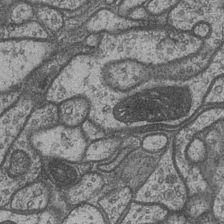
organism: Drosophila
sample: Optic medulla